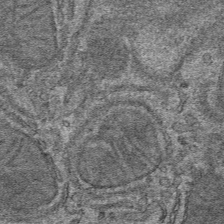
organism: Mouse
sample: Mouse hepatocytes